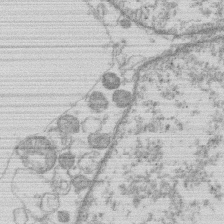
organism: Human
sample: Macrophage cells